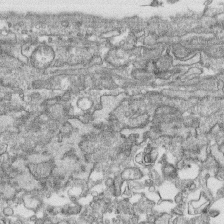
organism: Human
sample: CRL-1474